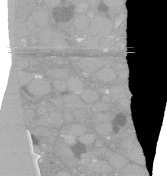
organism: C. elegans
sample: C. elegans oocyte; sperm cells